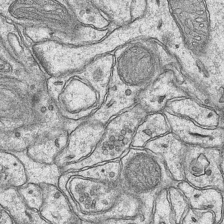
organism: Mouse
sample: CA1 Hippocampus